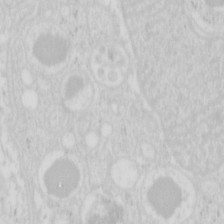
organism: Mouse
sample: Pancreas